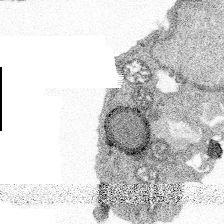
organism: Spongilla lacustris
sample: Multiple